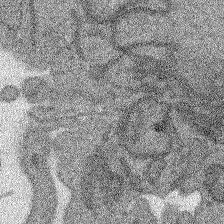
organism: Human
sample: HeLa cells